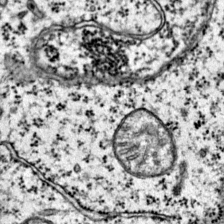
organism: Mouse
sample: Primary visual cortex